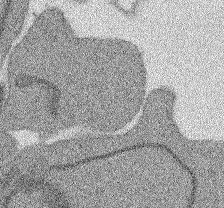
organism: Human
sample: HeLa cells